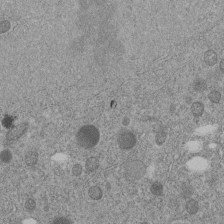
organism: C. elegans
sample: C. elegans embryo early stage